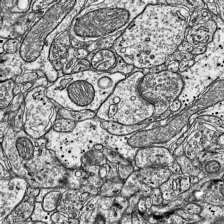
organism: Mouse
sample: Visual Cortex